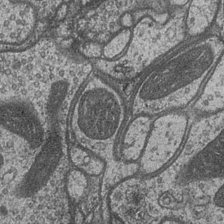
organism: Drosophila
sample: Optic medulla